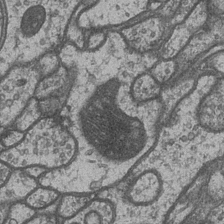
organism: Drosophila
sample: Optic medulla